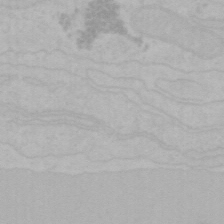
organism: Mouse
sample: Choroid plexus